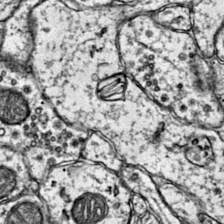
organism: Mouse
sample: Primary visual cortex